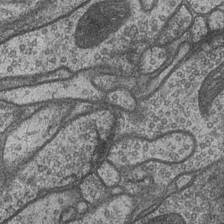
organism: Drosophila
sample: Optic medulla